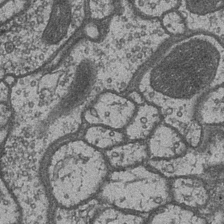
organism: Drosophila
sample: Optic medulla